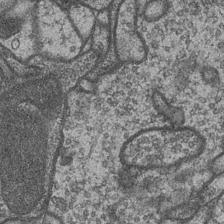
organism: Drosophila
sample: Optic medulla